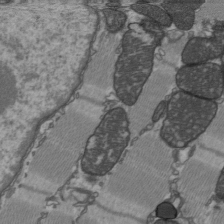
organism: C57BL Mouse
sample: Heart